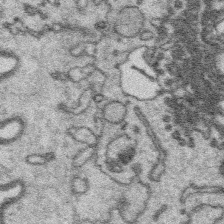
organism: Platynereis dumerilii